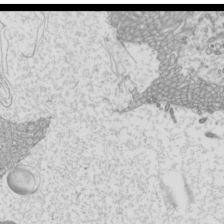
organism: Mouse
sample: Cilia; mouse epididymis